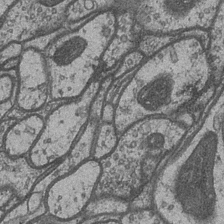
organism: Drosophila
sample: Optic medulla